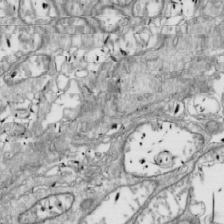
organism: Drosophila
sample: Cell division; meiosis; drosophila spermatocytes